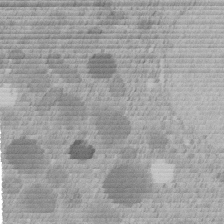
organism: C. elegans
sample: C. elegans embryo early stage